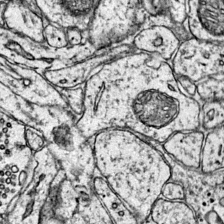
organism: Mouse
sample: Primary visual cortex